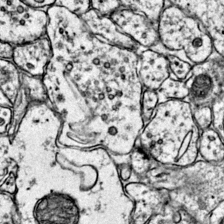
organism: Mouse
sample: Primary visual cortex